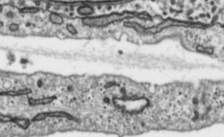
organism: Toxoplasma gondii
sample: Parasites in a vacuole inside a host cell